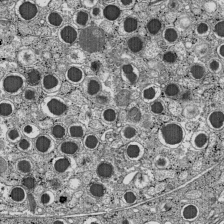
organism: C57BL Mouse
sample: Pancreatic islet